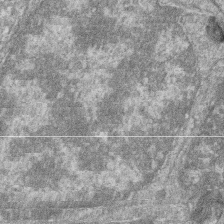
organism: Zebrafish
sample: Cilia; retinal pigment epithelium